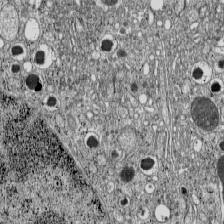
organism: C57BL Mouse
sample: Pancreatic islet